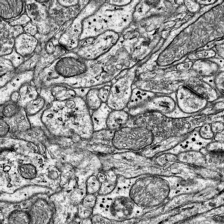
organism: Mouse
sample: Visual Cortex